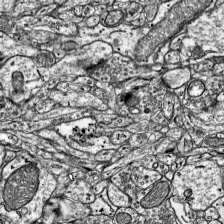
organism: Mouse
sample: Visual Cortex